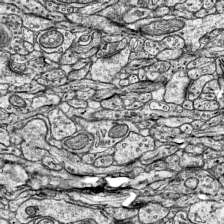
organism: Mouse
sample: Visual Cortex